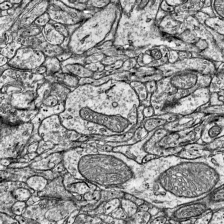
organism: Mouse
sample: Visual Cortex